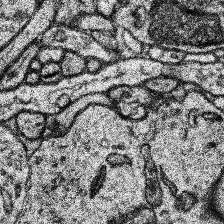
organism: Human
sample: Temporal Lobe